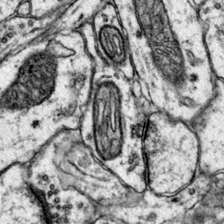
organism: Mouse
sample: Primary visual cortex